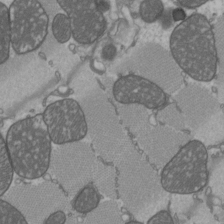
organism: C57BL Mouse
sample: Heart